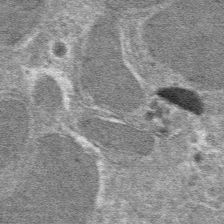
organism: Mouse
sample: Mouse hepatocytes